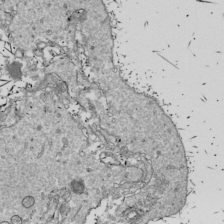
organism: Drosophila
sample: Cell division; meiosis; drosophila spermatocytes